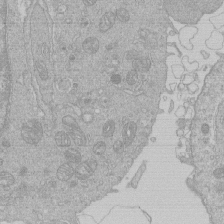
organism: Human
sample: Macrophage cells